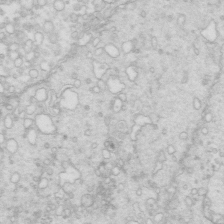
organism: Mouse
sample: Multiciliated cells